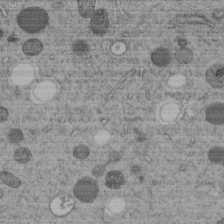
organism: C. elegans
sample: C. elegans embryo early stage